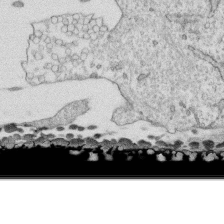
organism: Human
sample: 1205lu cells